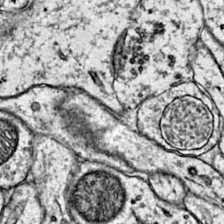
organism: Mouse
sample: Primary visual cortex